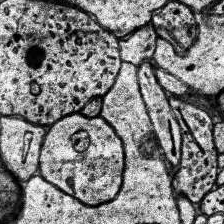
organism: Human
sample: Temporal Lobe